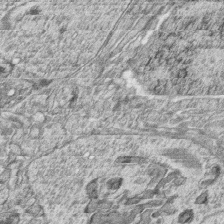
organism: Zebrafish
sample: synaptic ribbons in rod cells and cone cells